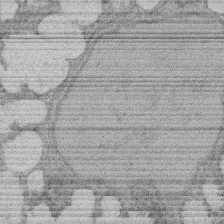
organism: Rat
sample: Salivary granule